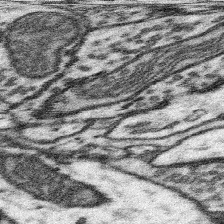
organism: Mouse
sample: Somatosensory cortex neuropil